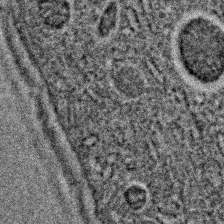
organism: C. elegans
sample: C. elegans embryo